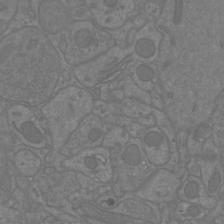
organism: Mouse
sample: Cortical neurons